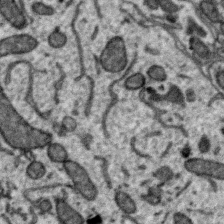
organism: Zebra finch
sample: Brain